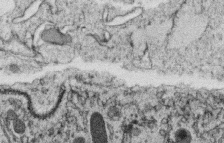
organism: C. elegans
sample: C. elegans oocyte; sperm cells